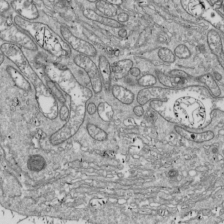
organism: Drosophila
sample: Cell division; meiosis; drosophila spermatocytes